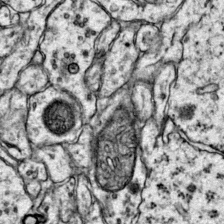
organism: Mouse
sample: Primary visual cortex